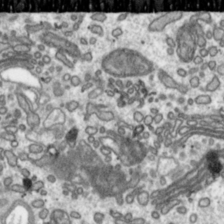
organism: Toxoplasma gondii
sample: Parasites in a vacuole inside a host cell